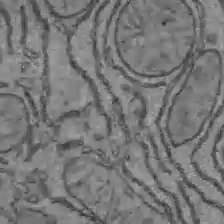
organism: C57BL Mouse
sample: Liver